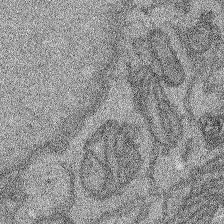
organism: Human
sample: HeLa cells